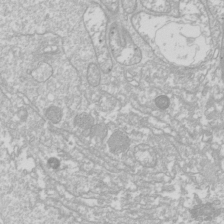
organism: Drosophila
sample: Cell division; meiosis; drosophila spermatocytes